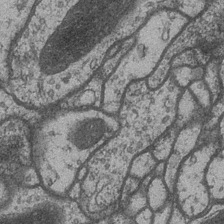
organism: Drosophila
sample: Optic medulla